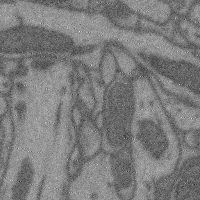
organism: Mouse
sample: Cerebral cortex